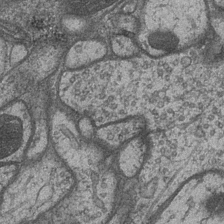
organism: Drosophila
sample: Optic medulla